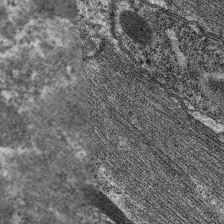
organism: C. elegans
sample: Pharynx